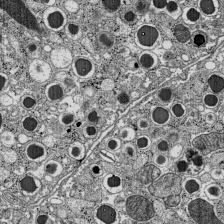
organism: C57BL Mouse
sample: Pancreatic islet